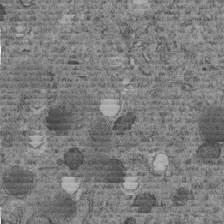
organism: C. elegans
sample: C. elegans embryo early stage